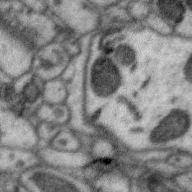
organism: Zebra finch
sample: Brain